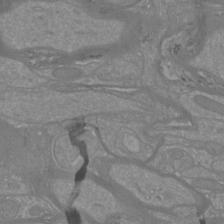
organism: Mouse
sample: Cortical neurons